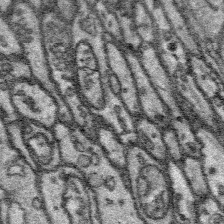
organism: Platynereis dumerilii